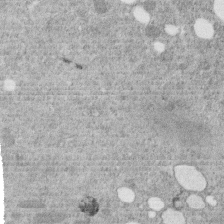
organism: C. elegans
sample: C. elegans embryo early stage